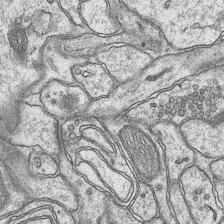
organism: Mouse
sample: CA1 Hippocampus